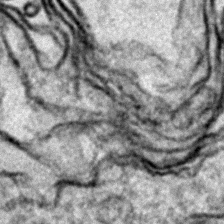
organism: Zebrafish